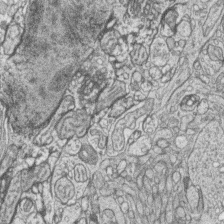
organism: Zebrafish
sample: synaptic ribbons in rod cells and cone cells